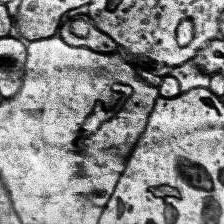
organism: Human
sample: Temporal Lobe